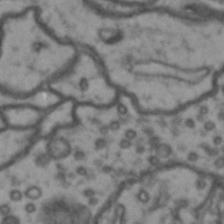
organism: Drosophila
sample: Brain